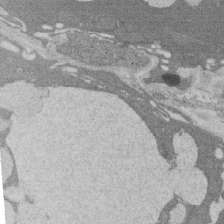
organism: Rat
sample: Salivary granule